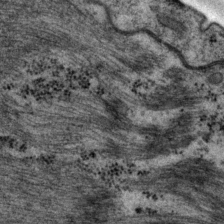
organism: P. pacificus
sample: Pharynx